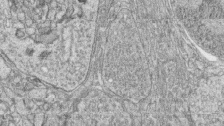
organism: Zebrafish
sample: synaptic ribbons in rod cells and cone cells